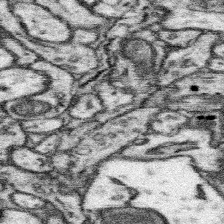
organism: Mouse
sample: Somatosensory cortex neuropil